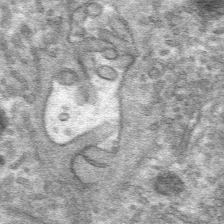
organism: Mouse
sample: Mouse hepatocytes